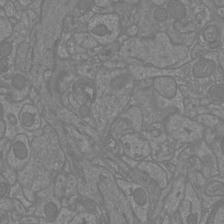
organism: Mouse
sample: Cortical neurons